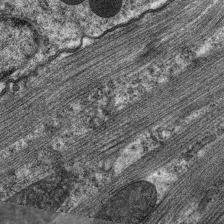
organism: C. elegans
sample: Pharynx